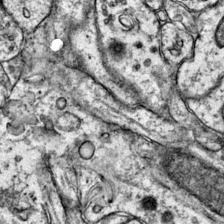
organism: Mouse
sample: Primary visual cortex